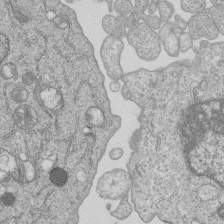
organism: Human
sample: MDA-MB-231 cells